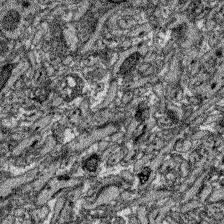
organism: Zebrafish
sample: Larval olfactory bulb